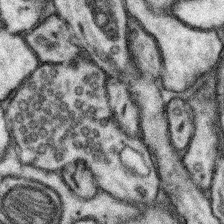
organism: Mouse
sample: Somatosensory cortex neuropil